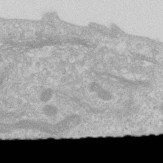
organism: Human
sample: Centriole in RPE cells